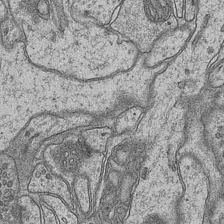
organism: Mouse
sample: CA1 Hippocampus